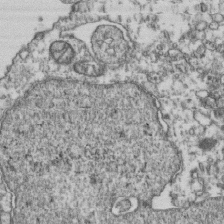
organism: Human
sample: Activated Jurkat CD4+ T cells